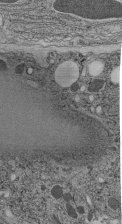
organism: C. elegans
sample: C. elegans pharynx